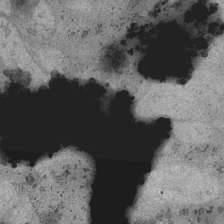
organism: Drosophila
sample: Optic medulla